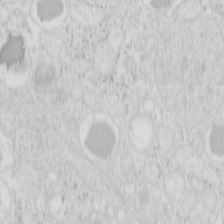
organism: Mouse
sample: Pancreas